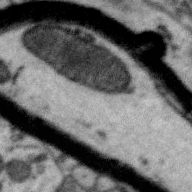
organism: Zebra finch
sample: Brain